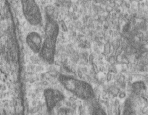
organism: Human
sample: Centriole in RPE cells